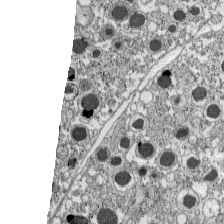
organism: C57BL Mouse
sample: Pancreatic islet